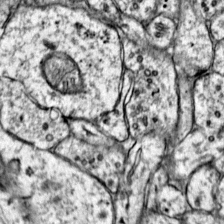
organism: Mouse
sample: Primary visual cortex